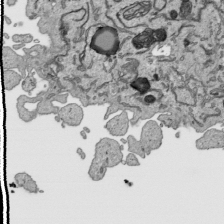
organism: Human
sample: Mitochondria in HCT116 cells